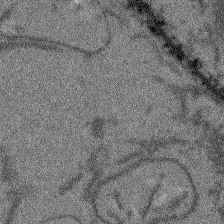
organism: Arabidopsis thaliana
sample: Root tip